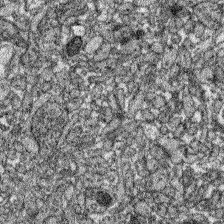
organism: Zebrafish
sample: Larval olfactory bulb